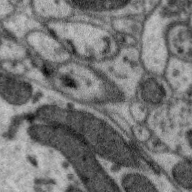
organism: Zebra finch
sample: Brain